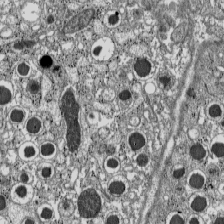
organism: C57BL Mouse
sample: Pancreatic islet